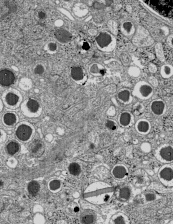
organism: C57BL Mouse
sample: Pancreatic islet